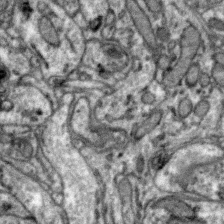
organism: Zebra finch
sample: Brain